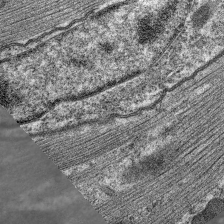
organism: C. elegans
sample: Pharynx